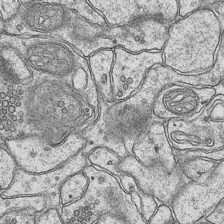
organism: Mouse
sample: CA1 Hippocampus